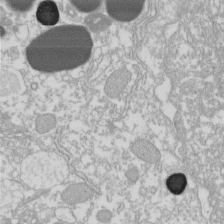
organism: Xenopus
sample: Cilia; centrioles in frog embryo cells